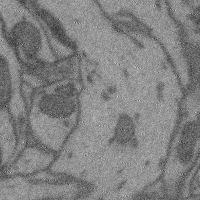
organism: Mouse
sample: Cerebral cortex